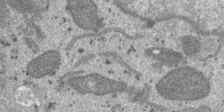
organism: Human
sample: Lung epithelial cells infected with SARS-CoV-2